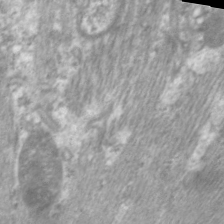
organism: C. elegans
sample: Pharynx